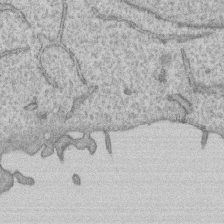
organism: Human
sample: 1205lu cells